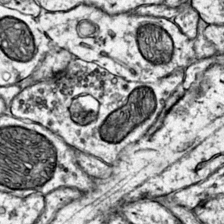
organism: Mouse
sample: Primary visual cortex